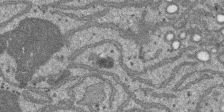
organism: Human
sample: Lung epithelial cells infected with SARS-CoV-2